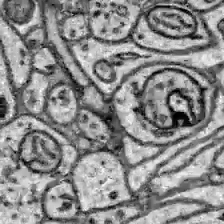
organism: Zebrafish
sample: Brain